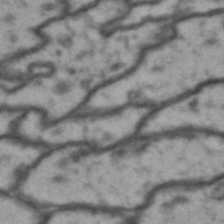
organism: Drosophila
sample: Brain